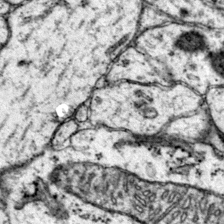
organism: Mouse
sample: Primary visual cortex